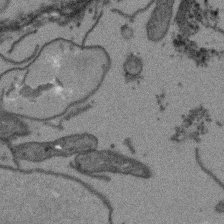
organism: Arabidopsis thaliana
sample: Root tip